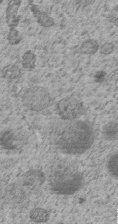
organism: C. elegans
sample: C. elegans embryo early stage